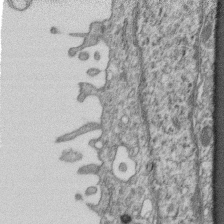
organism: Mouse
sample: Centriole in ependymal cells